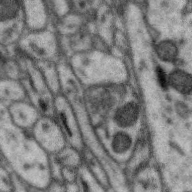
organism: Zebra finch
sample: Brain